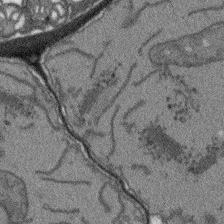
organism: Arabidopsis thaliana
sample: Root tip